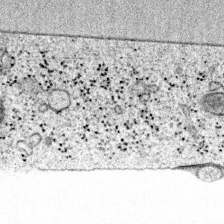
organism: Human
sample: HeLa cells